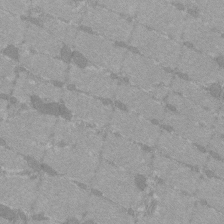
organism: C57BL Mouse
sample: Tibialis anterior muscle cell